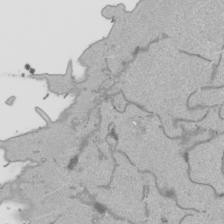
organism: Human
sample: Mitochondria in HCT116 cells